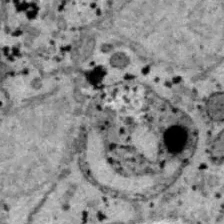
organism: Mouse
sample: Liver from an obese (ob/ob) mouse